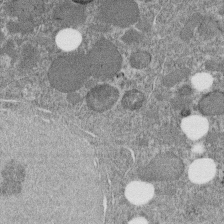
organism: C. elegans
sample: C. elegans embryo early stage